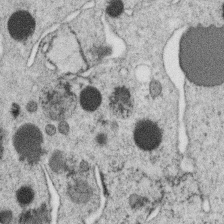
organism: C. elegans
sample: C. elegans oocyte; sperm cells